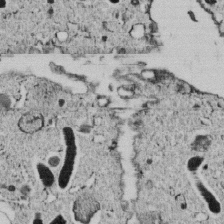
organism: C. elegans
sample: C. elegans embryo early stage